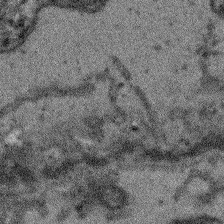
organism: Arabidopsis thaliana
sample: Root tip